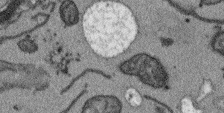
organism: Arabidopsis thaliana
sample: Root tip